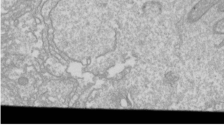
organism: Drosophila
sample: Cell division; meiosis; drosophila spermatocytes